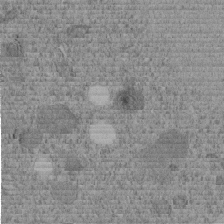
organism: C. elegans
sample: C. elegans embryo early stage